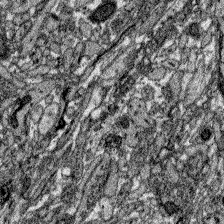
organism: Zebrafish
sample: Larval olfactory bulb